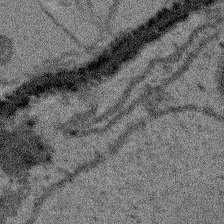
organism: Arabidopsis thaliana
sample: Root tip